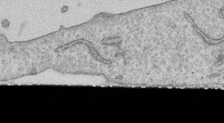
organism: Human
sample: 1205lu cells